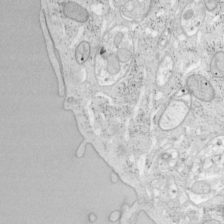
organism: Mouse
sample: OT-I killer T cells with ID8 ovarian cancer cells